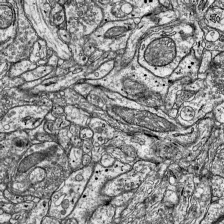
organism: Mouse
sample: Visual Cortex